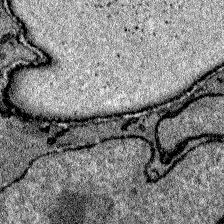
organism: Zebrafish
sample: Larval olfactory bulb